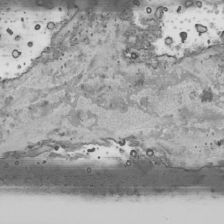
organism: Human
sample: Mitochondria in HCT116 cells